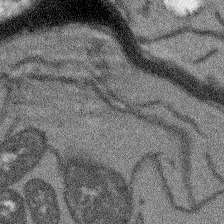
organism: Arabidopsis thaliana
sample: Root tip